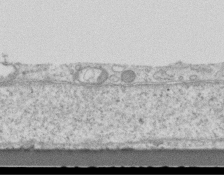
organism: Mouse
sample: Centriole in ependymal cells